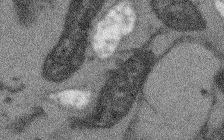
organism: Arabidopsis thaliana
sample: Root tip